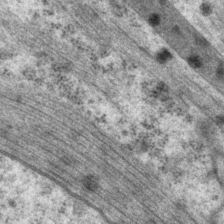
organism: P. pacificus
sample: Pharynx